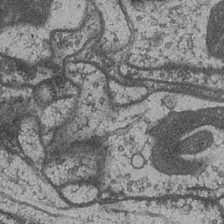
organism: Drosophila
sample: Optic medulla